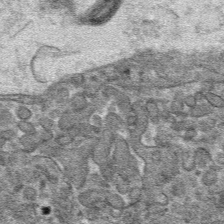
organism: Mouse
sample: Mouse hepatocytes